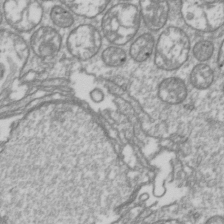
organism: Drosophila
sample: Cell division; meiosis; drosophila spermatocytes